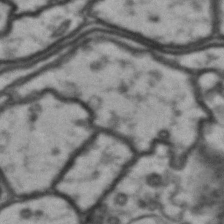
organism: Drosophila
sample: Brain